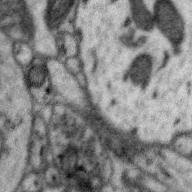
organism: Zebra finch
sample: Brain